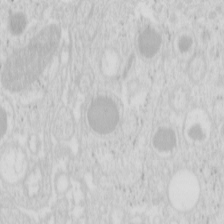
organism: Mouse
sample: Pancreas